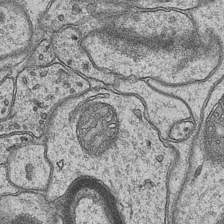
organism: Mouse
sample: CA1 Hippocampus